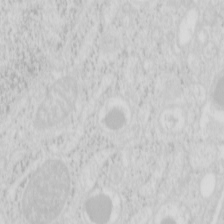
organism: Mouse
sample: Pancreas